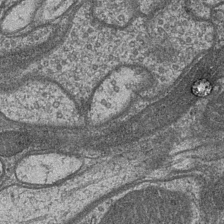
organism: Drosophila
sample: Optic medulla